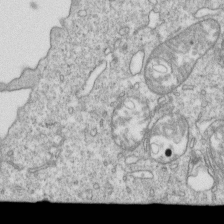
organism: Mouse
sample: Activated OT-1 CD8+ T cells